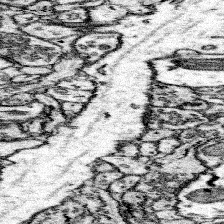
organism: Mouse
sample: Somatosensory cortex neuropil